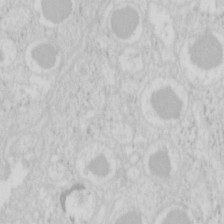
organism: Mouse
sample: Pancreas